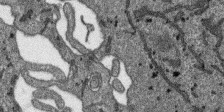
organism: Human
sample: Lung epithelial cells infected with SARS-CoV-2